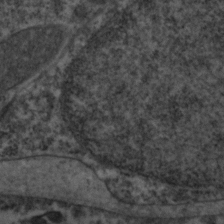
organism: Zebrafish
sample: Zebrafish embryo